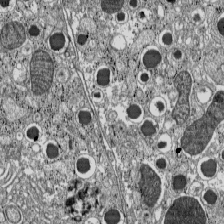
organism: C57BL Mouse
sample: Pancreatic islet